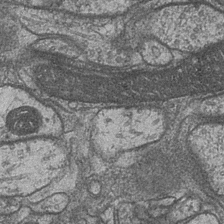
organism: Drosophila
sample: Optic medulla